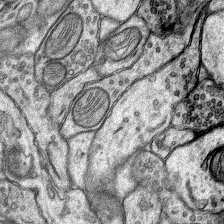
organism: Rat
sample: Hippocampus